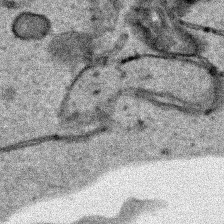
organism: Human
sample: Mitochondria in HCT116 cells